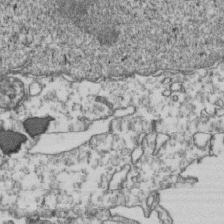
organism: Human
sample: Activated Jurkat CD4+ T cells